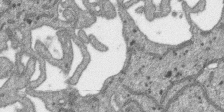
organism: Human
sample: Lung epithelial cells infected with SARS-CoV-2